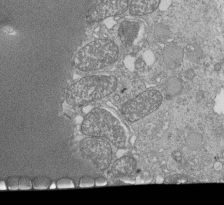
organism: Tetrahymena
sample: Cilia in tetrahymena